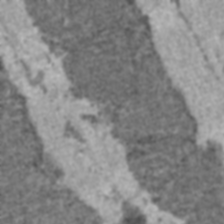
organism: C57BL Mouse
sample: Heart